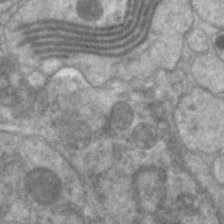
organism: C. elegans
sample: Pharynx